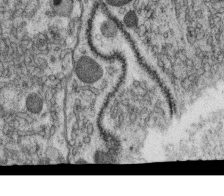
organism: C. elegans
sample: C. elegans oocyte; sperm cells